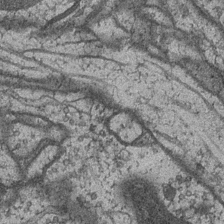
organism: Drosophila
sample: Optic medulla